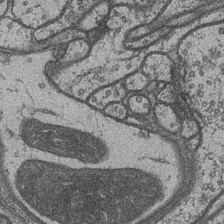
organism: Drosophila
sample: Optic medulla